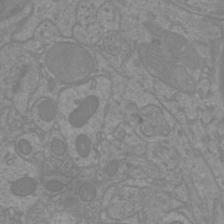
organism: Mouse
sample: Cortical neurons